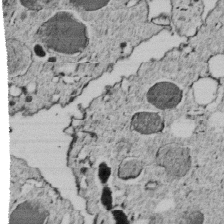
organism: C. elegans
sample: C. elegans embryo early stage